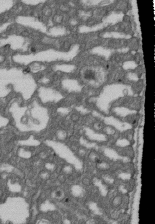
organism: Drosophila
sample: Nephrocyte